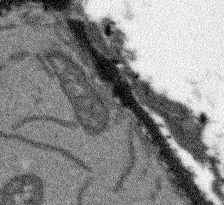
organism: Arabidopsis thaliana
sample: Root tip